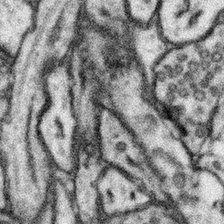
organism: Mouse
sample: Somatosensory cortex neuropil